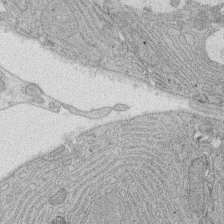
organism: Rat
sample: Salivary granule